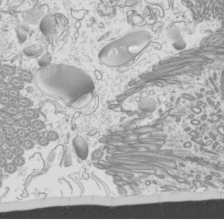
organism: Mouse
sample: Cilia; mouse epididymis